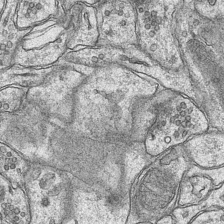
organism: Mouse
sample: CA1 Hippocampus